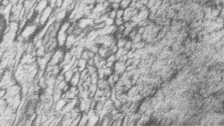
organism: Zebrafish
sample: synaptic ribbons in rod cells and cone cells